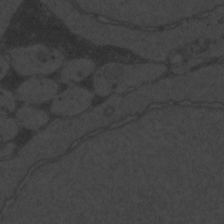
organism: Zebrafish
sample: Macrophage infected with Toxoplasma gondii